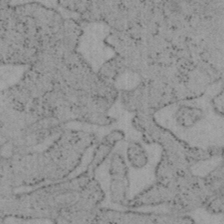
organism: Mouse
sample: OT-I killer T cells with ID8 ovarian cancer cells